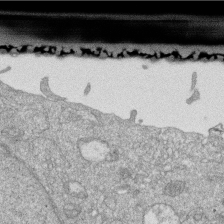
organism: Human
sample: HeLa cell HIV synapse